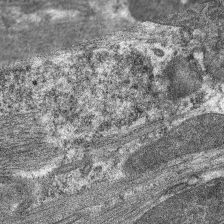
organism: C. elegans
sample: Pharynx